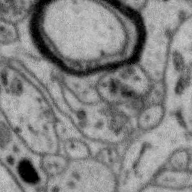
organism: Zebra finch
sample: Brain